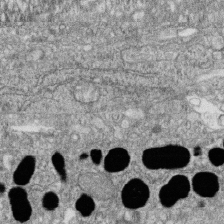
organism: Zebrafish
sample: Cilia; retinal pigment epithelium